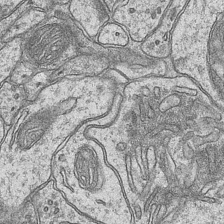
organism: Mouse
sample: CA1 Hippocampus